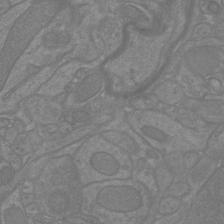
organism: Mouse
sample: Cortical neurons